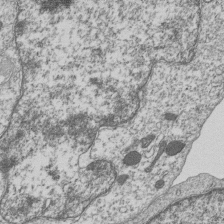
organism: Human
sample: MDA-MB-231 cells